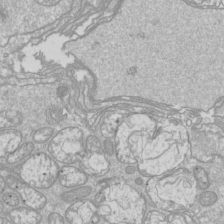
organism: Drosophila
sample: Cell division; meiosis; drosophila spermatocytes